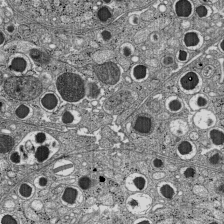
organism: C57BL Mouse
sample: Pancreatic islet